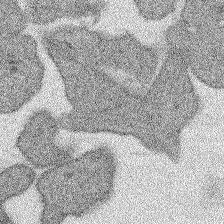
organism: Human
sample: HeLa cells